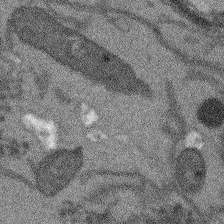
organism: Arabidopsis thaliana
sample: Root tip